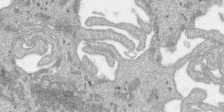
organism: Human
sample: Lung epithelial cells infected with SARS-CoV-2